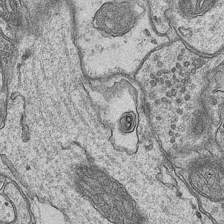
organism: Mouse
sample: CA1 Hippocampus